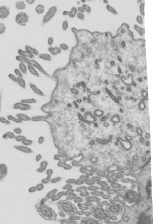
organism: Mouse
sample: Mouse epididymis efferent ductule cilia